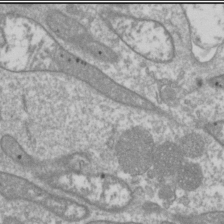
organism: Drosophila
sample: Cell division; meiosis; drosophila spermatocytes